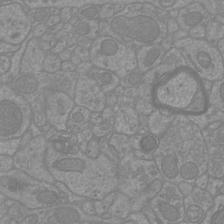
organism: Mouse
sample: Cortical neurons